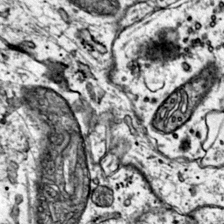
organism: Mouse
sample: Primary visual cortex